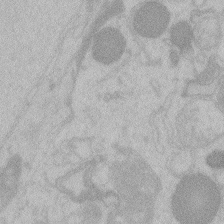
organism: Zebrafish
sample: Macrophage infected with Toxoplasma gondii